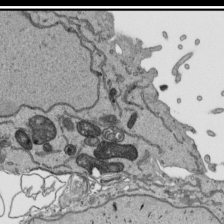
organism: Human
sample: Mitochondria in HCT116 cells